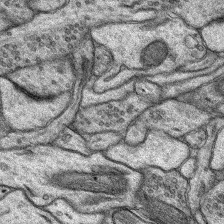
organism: Rat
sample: Hippocampus